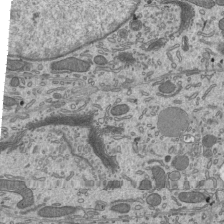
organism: Mouse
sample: Mouse epididymis efferent ductule cilia